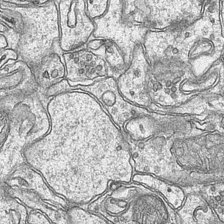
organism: Mouse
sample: CA1 Hippocampus